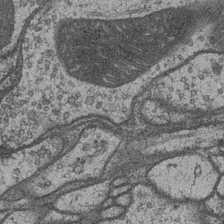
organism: Drosophila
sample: Optic medulla